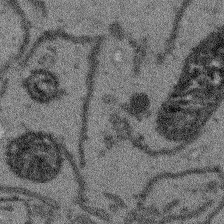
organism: Arabidopsis thaliana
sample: Root tip